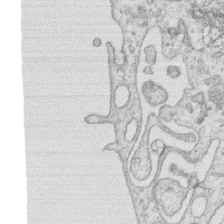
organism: Human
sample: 1205lu cells